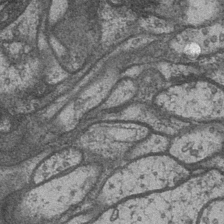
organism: Drosophila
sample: Optic medulla